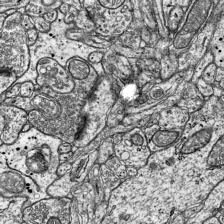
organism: Mouse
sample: Visual Cortex